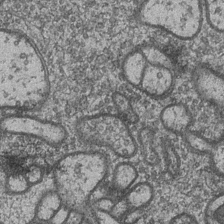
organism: Drosophila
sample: Optic medulla